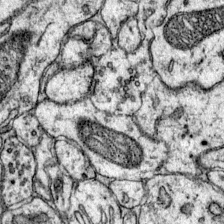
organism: Mouse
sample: Primary visual cortex